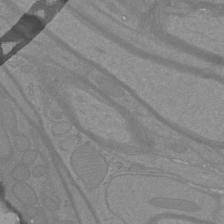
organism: Mouse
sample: Cortical neurons